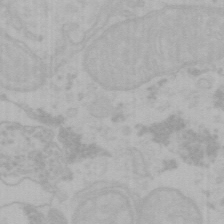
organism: Mouse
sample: Choroid plexus